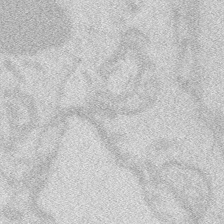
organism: Zebrafish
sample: Macrophage